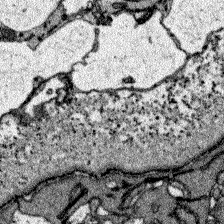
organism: Zebrafish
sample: Larval olfactory bulb